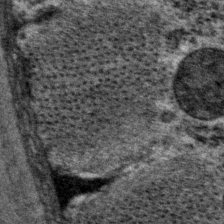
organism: P. pacificus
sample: Pharynx